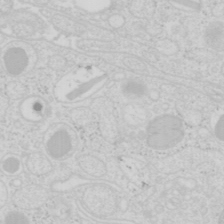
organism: Mouse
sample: Pancreas